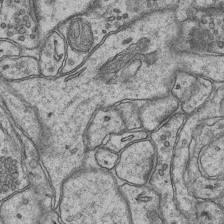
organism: Mouse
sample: CA1 Hippocampus